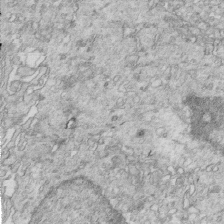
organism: Mouse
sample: Multiciliated cells